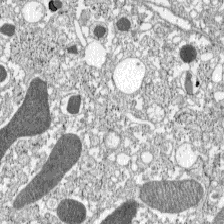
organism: C57BL Mouse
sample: Pancreatic islet